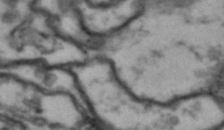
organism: Drosophila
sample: Brain